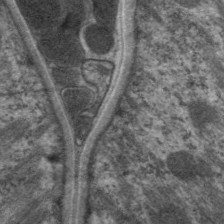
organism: C. elegans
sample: Pharynx